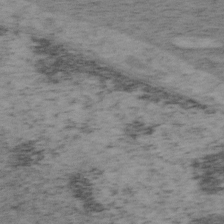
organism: Mouse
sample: OT-I killer T cells with ID8 ovarian cancer cells